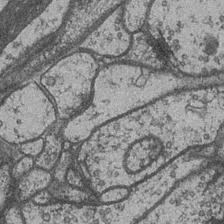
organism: Drosophila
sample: Optic medulla